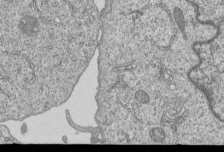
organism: Human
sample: MDA-MB-231 cells